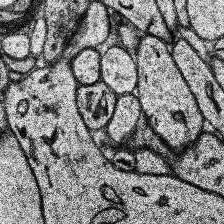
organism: Human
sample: Temporal Lobe